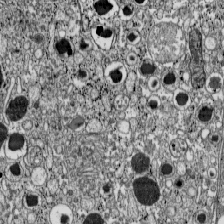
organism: C57BL Mouse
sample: Pancreatic islet